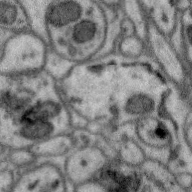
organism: Zebra finch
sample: Brain